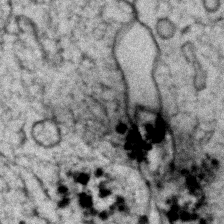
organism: Zebrafish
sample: Zebrafish embryo